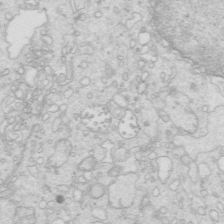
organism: Mouse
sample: Multiciliated cells